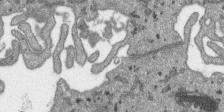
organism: Human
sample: Lung epithelial cells infected with SARS-CoV-2